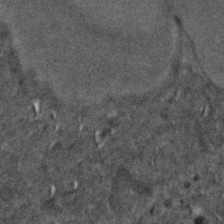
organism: C. elegans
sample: C. elegans embryo